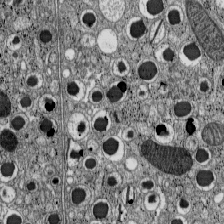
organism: C57BL Mouse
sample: Pancreatic islet